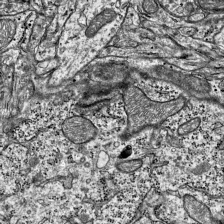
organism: Mouse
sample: Visual Cortex